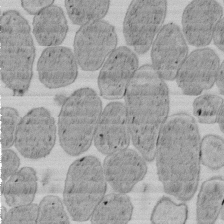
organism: E. coli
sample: Bacterial nucleoid